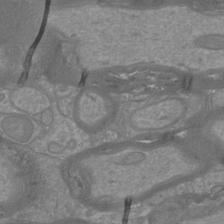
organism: Mouse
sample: Cortical neurons